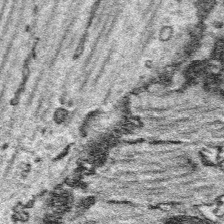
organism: Platynereis dumerilii